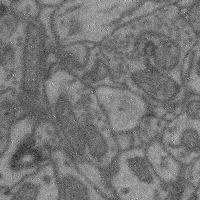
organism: Mouse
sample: Cerebral cortex